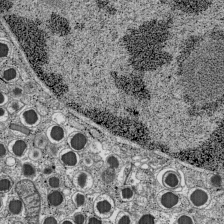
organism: C57BL Mouse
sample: Pancreatic islet